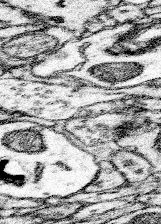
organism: Mouse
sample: Somatosensory cortex neuropil